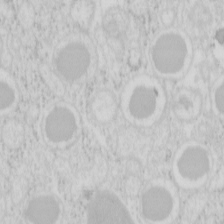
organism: Mouse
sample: Pancreas